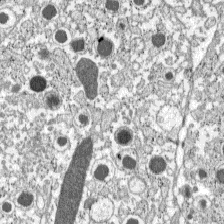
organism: C57BL Mouse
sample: Pancreatic islet